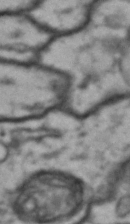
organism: Drosophila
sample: Brain